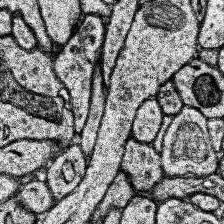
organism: Human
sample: Temporal Lobe